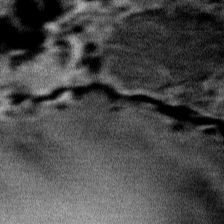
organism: Mouse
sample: Mouse Salivary gland